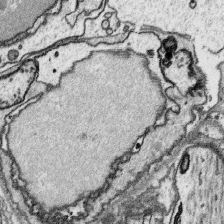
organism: Platynereis dumerilii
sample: Parapodia